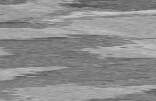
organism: C57BL Mouse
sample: Heart